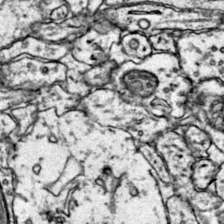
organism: Mouse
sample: Primary visual cortex